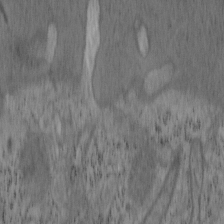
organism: Human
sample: HeLa cells